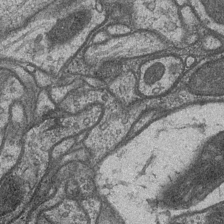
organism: Drosophila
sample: Optic medulla